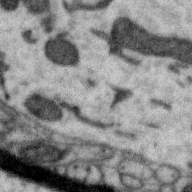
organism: Zebra finch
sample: Brain